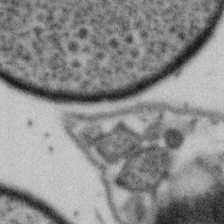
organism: Gemmata obscuriglobus